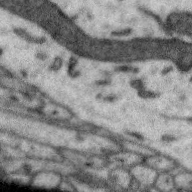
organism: Zebra finch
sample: Brain